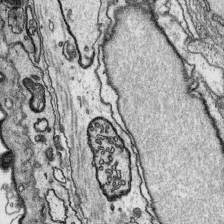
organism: Platynereis dumerilii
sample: Parapodia